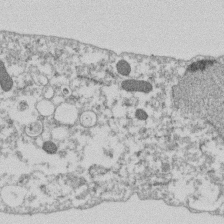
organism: Dictyostelium discoideum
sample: Dictyostelium multivesicular bodies